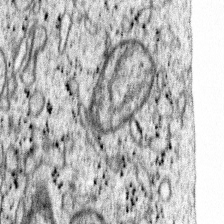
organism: Human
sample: HeLa cells